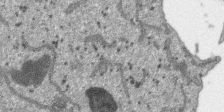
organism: Human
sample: Lung epithelial cells infected with SARS-CoV-2